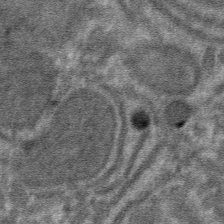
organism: Mouse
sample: Mouse hepatocytes